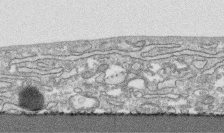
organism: Human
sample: CRL-1474